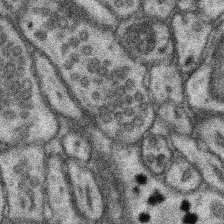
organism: Mouse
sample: Somatosensory cortex neuropil